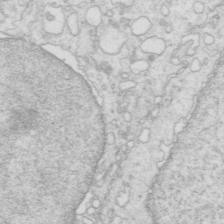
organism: Mouse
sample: Multiciliated cells